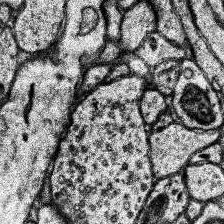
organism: Human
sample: Temporal Lobe